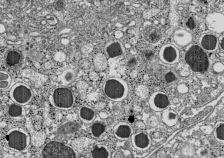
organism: C57BL Mouse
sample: Pancreatic islet